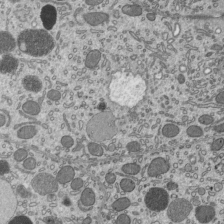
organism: Mouse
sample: Mouse epididymis efferent ductule cilia